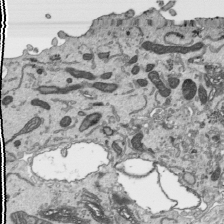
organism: Human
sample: Mitochondria in HCT116 cells